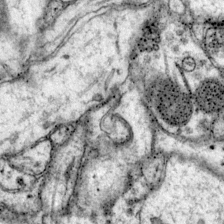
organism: Mouse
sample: Primary visual cortex